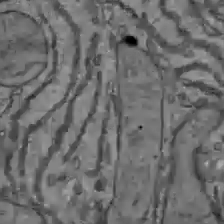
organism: C57BL Mouse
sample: Liver